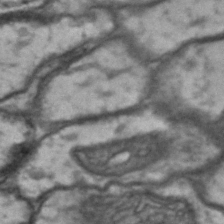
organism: Drosophila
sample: Brain